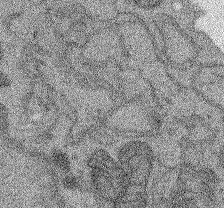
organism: Human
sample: HeLa cells